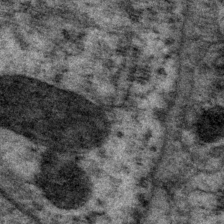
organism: P. pacificus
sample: Pharynx